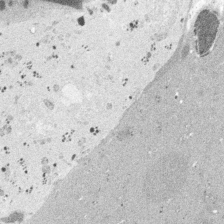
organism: Embia sp.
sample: Silk gland